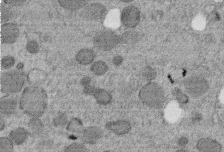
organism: C. elegans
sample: C. elegans embryo early stage